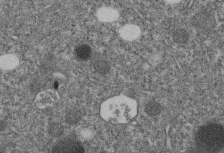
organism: C. elegans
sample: C. elegans embryo early stage